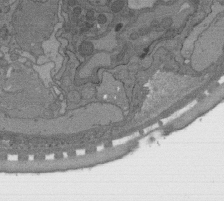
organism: C. elegans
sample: AFD neurons C. elegans